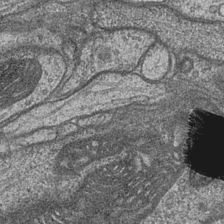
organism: Drosophila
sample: Optic medulla